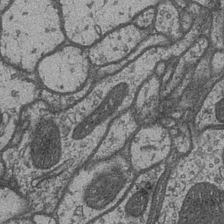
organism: Drosophila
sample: Optic medulla